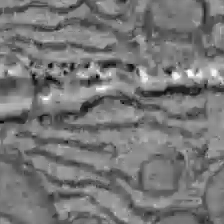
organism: C57BL Mouse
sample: Liver